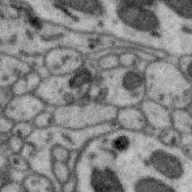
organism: Zebra finch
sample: Brain